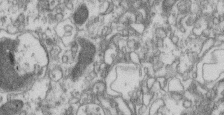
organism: Mouse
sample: Centriole in ependymal cells